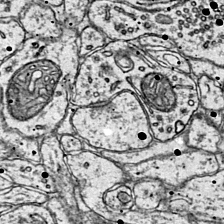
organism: Mouse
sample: Primary visual cortex